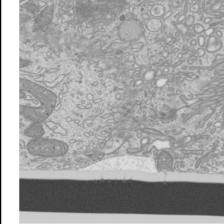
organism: Mouse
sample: Cilia; mouse epididymis